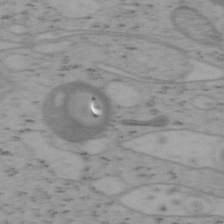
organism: Mouse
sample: OT-I killer T cells with ID8 ovarian cancer cells